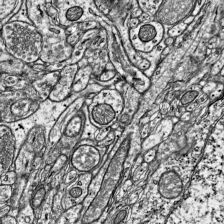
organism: Mouse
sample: Visual Cortex